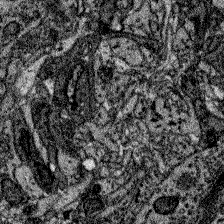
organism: Zebrafish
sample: Larval olfactory bulb